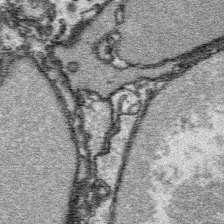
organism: Platynereis dumerilii